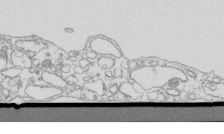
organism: Mouse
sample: Macrophages